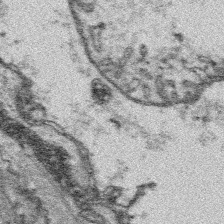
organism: Platynereis dumerilii